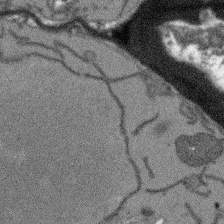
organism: Arabidopsis thaliana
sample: Root tip